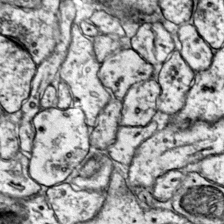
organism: Mouse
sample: Primary visual cortex